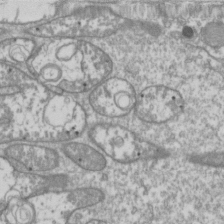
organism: Drosophila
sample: Cell division; meiosis; drosophila spermatocytes